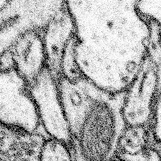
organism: Mouse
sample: Somatosensory cortex neuropil